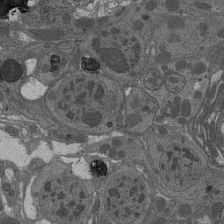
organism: Drosophila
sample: Antenna